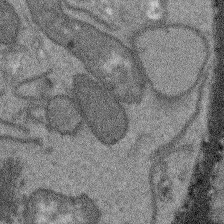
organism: Arabidopsis thaliana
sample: Root tip